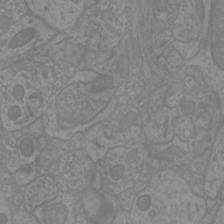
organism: Mouse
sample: Cortical neurons